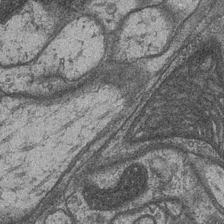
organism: Drosophila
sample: Optic medulla